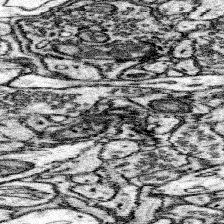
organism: Mouse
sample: Somatosensory cortex neuropil